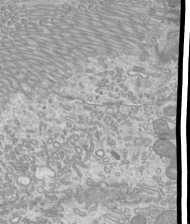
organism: Mouse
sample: Cilia; mouse epididymis